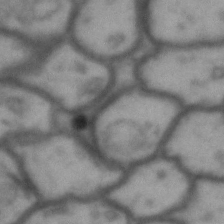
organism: Drosophila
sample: Brain